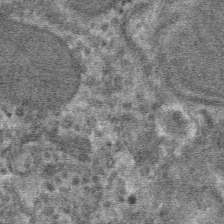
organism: Mouse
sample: Mouse hepatocytes